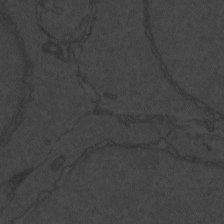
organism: Zebrafish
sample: Macrophage infected with Toxoplasma gondii